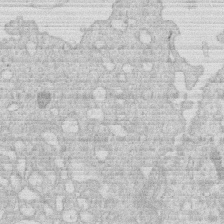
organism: Human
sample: Macrophage cells